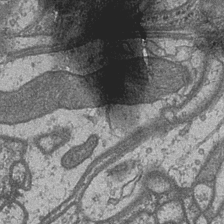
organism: Drosophila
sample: Optic medulla